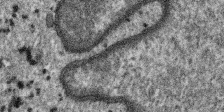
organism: Human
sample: Lung epithelial cells infected with SARS-CoV-2